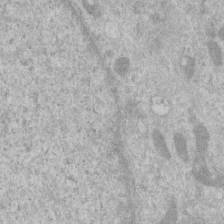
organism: Human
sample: Centriole in RPE cells